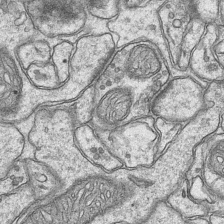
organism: Mouse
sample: CA1 Hippocampus